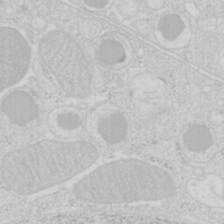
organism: Mouse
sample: Pancreas